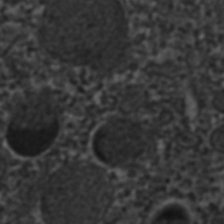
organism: C. elegans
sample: C. elegans embryo